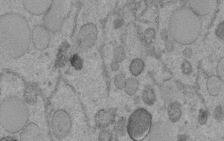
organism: C. elegans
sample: C. elegans embryo early stage